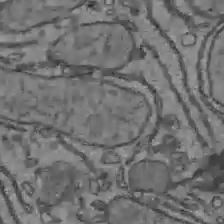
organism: C57BL Mouse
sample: Liver